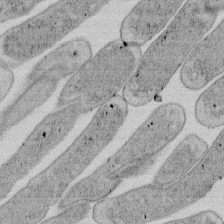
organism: E. coli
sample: Bacterial nucleoid